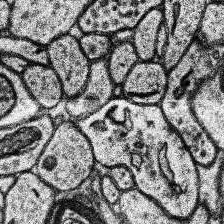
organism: Human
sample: Temporal Lobe